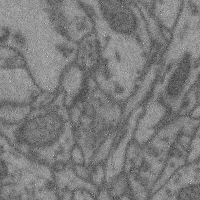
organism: Mouse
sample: Cerebral cortex